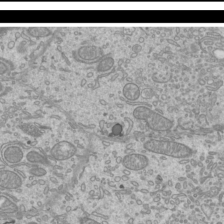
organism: Mouse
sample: Cilia; mouse epididymis